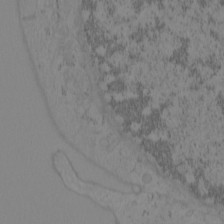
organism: Human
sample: HeLa cells